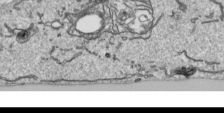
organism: Human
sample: Mitochondria in HCT116 cells